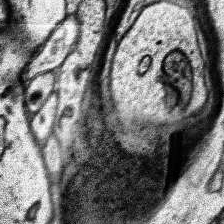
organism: Human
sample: Temporal Lobe